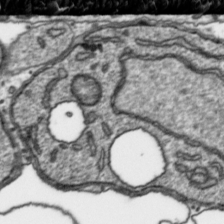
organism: Toxoplasma gondii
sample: Parasites in a vacuole inside a host cell